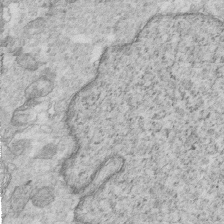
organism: Mouse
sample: Multiciliated cells